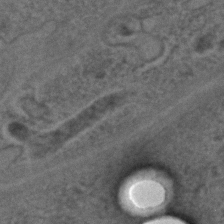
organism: C. elegans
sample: C. elegans embryo